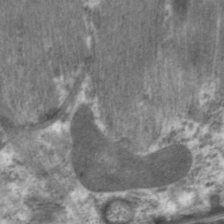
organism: C. elegans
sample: Pharynx